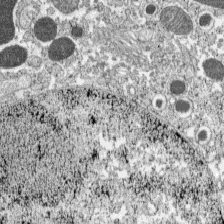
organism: C57BL Mouse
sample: Pancreatic islet